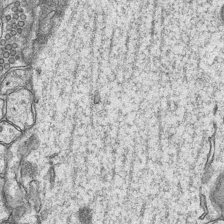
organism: Mouse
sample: CA1 Hippocampus